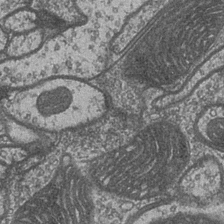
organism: Drosophila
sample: Optic medulla